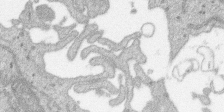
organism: Human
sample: Lung epithelial cells infected with SARS-CoV-2